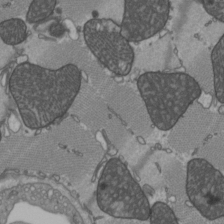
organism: C57BL Mouse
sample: Heart